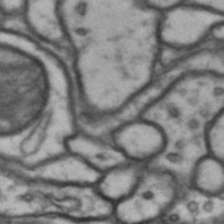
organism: Drosophila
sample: Brain